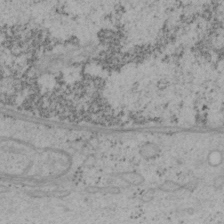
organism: Human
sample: HeLa cells